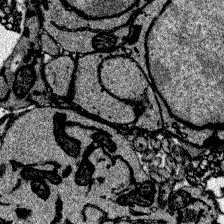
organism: Zebrafish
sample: Larval olfactory bulb